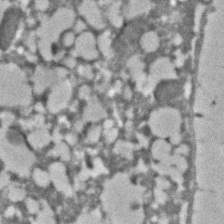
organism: C. elegans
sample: C. elegans embryo